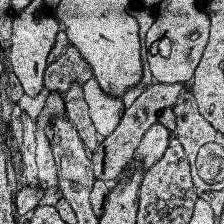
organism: Human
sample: Temporal Lobe